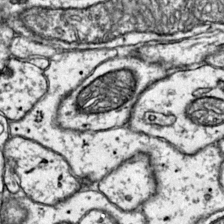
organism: Mouse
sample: Primary visual cortex